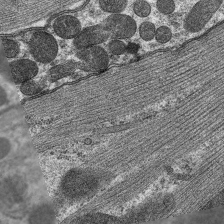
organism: C. elegans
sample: Pharynx